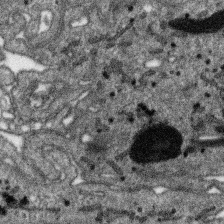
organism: Human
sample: Lung epithelial cells infected with SARS-CoV-2